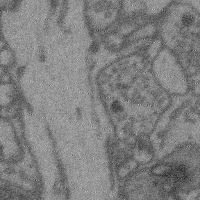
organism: Mouse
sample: Cerebral cortex